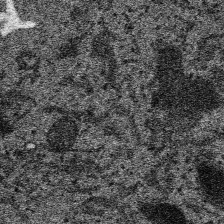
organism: Human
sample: Lung epithelial cells infected with SARS-CoV-2